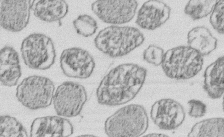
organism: E. coli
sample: Bacterial nucleoid